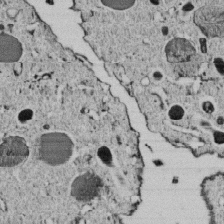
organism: C. elegans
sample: C. elegans embryo early stage